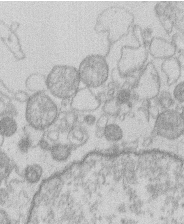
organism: Human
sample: Macrophage cells